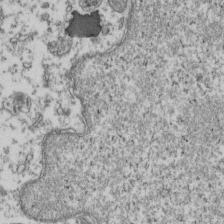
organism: Human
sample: Activated Jurkat CD4+ T cells